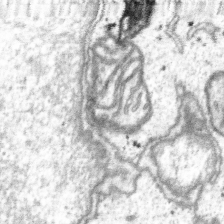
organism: Human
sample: HeLa cells